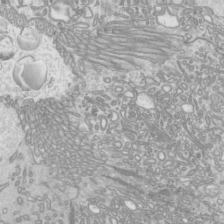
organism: Mouse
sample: Cilia; mouse epididymis